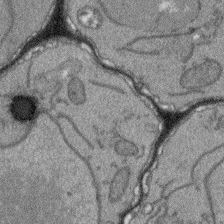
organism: Arabidopsis thaliana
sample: Root tip